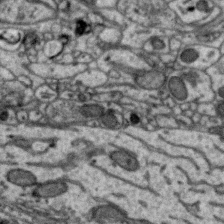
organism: Zebra finch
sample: Brain